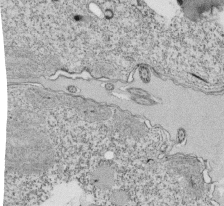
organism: Tetrahymena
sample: Cilia in tetrahymena